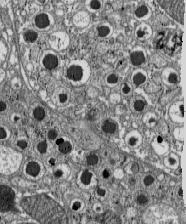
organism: C57BL Mouse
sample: Pancreatic islet